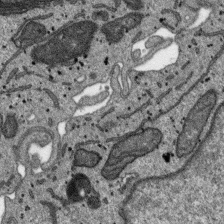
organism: Human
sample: Lung epithelial cells, uninfected (mock) control